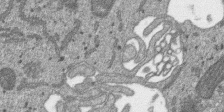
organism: Human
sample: Lung epithelial cells infected with SARS-CoV-2